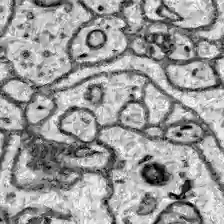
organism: Zebrafish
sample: Brain